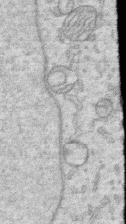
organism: Human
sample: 1205lu cells